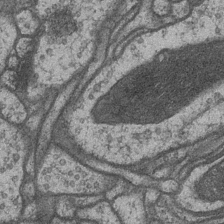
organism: Drosophila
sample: Optic medulla